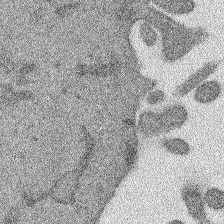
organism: Human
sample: HeLa cells